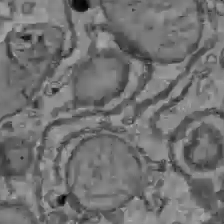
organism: C57BL Mouse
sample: Liver